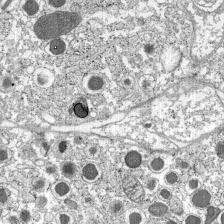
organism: C57BL Mouse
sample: Pancreatic islet